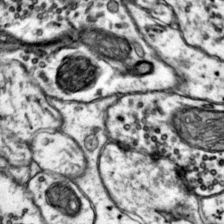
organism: Mouse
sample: Primary visual cortex